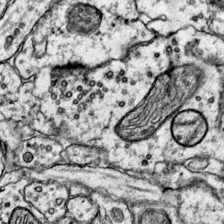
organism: Mouse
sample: Primary visual cortex